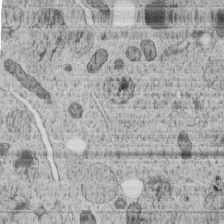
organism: C. elegans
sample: C. elegans embryo early stage